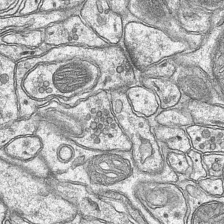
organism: Mouse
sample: CA1 Hippocampus